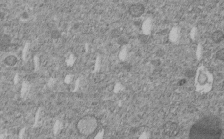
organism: C. elegans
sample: C. elegans embryo early stage